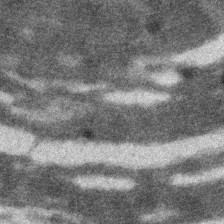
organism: Zebrafish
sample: Zebrafish embryo